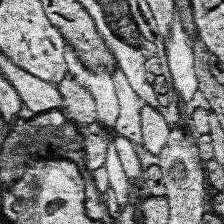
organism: Human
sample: Temporal Lobe